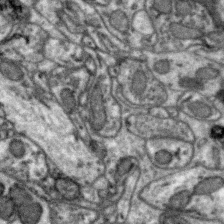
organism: Zebra finch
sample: Brain